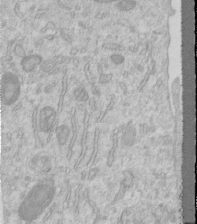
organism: Human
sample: Centriole in RPE cells